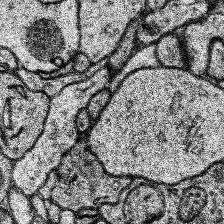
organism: Human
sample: Temporal Lobe